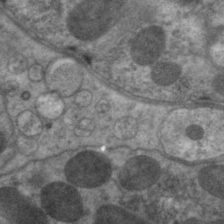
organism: C. elegans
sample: Pharynx